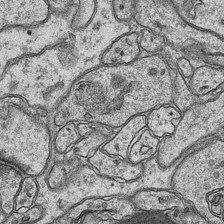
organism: Mouse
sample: CA1 Hippocampus